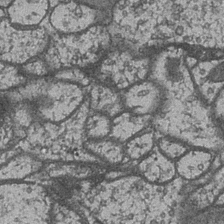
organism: Drosophila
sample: Optic medulla